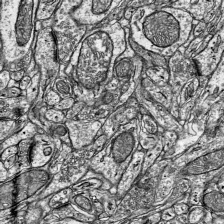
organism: Mouse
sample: Visual Cortex